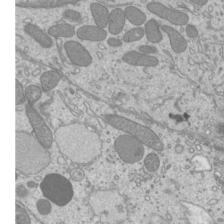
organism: Mouse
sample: Cilia; mouse epididymis